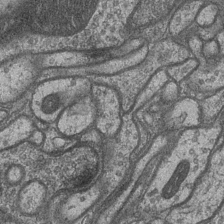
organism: Drosophila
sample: Optic medulla